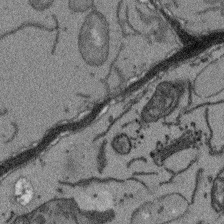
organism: Arabidopsis thaliana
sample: Root tip